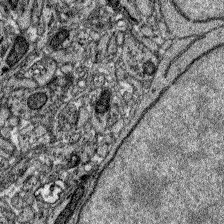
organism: Zebrafish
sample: Larval olfactory bulb